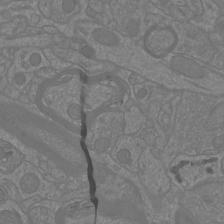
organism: Mouse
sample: Cortical neurons